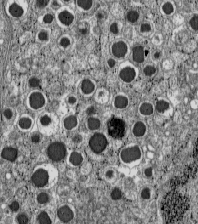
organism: C57BL Mouse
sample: Pancreatic islet